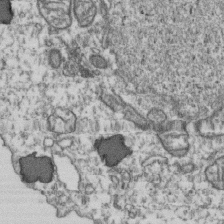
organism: Human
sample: Activated Jurkat CD4+ T cells